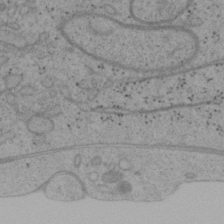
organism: Human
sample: HeLa cells